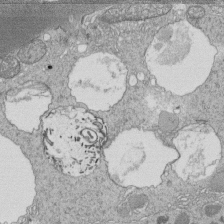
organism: Tetrahymena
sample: Cilia in tetrahymena